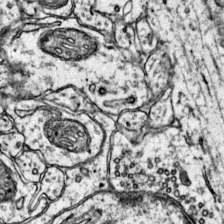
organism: Mouse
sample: Primary visual cortex